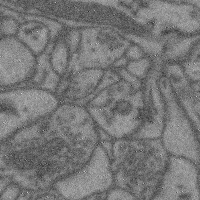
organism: Mouse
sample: Cerebral cortex